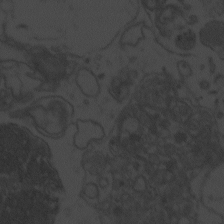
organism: Zebrafish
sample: Macrophage infected with Toxoplasma gondii